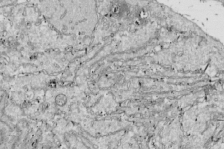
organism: Drosophila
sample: Cell division; meiosis; drosophila spermatocytes